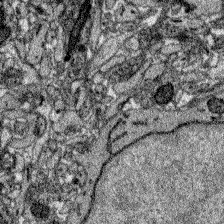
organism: Zebrafish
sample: Larval olfactory bulb